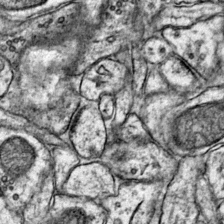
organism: Mouse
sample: Primary visual cortex